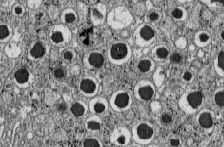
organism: C57BL Mouse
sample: Pancreatic islet